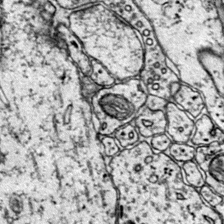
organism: Mouse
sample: Primary visual cortex